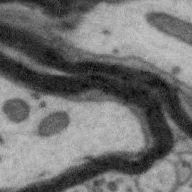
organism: Zebra finch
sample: Brain